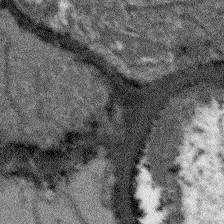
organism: Arabidopsis thaliana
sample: Root tip